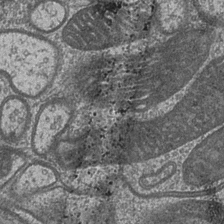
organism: Drosophila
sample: Optic medulla